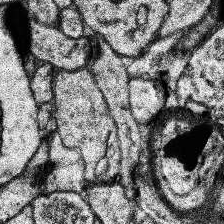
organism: Human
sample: Temporal Lobe